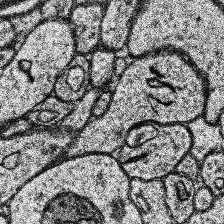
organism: Human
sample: Temporal Lobe